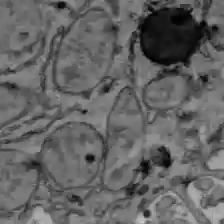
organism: C57BL Mouse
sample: Liver